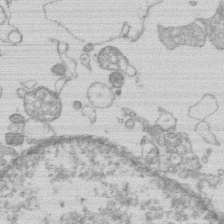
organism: Human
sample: Macrophage cells